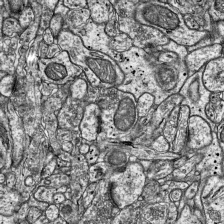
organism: Mouse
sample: Visual Cortex